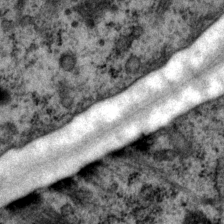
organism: P. pacificus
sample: Pharynx